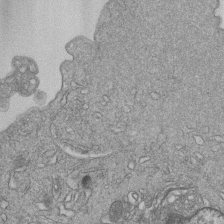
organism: Human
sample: MDA-MB-231 cells